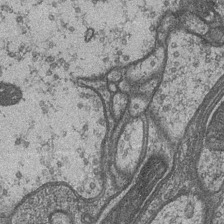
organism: Drosophila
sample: Optic medulla